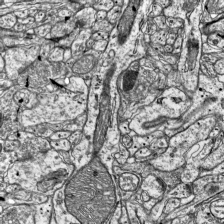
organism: Mouse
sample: Visual Cortex